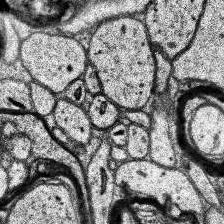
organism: Human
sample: Temporal Lobe